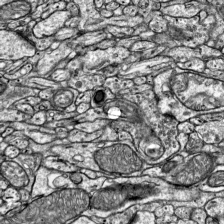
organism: Mouse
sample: Visual Cortex